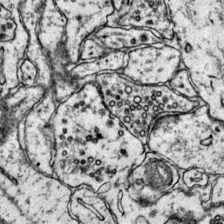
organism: Mouse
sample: Primary visual cortex